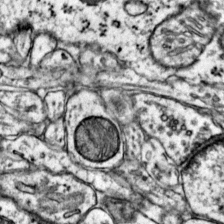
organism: Mouse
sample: Primary visual cortex